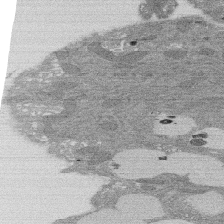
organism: Rat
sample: Salivary granule